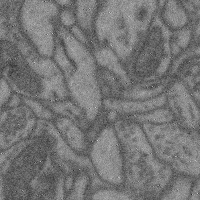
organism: Mouse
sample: Cerebral cortex